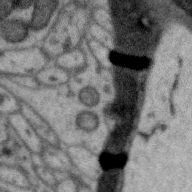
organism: Zebra finch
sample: Brain